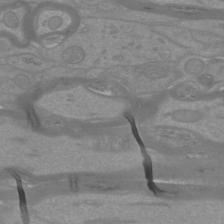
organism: Mouse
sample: Cortical neurons